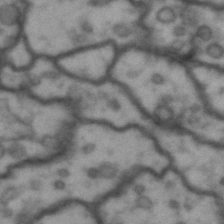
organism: Drosophila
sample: Brain